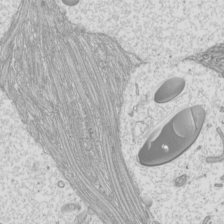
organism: Mouse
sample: Cilia; mouse epididymis